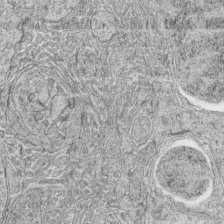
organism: Zebrafish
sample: synaptic ribbons in rod cells and cone cells